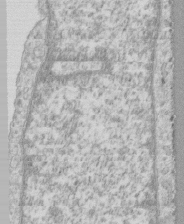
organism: Human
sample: CRL-1474